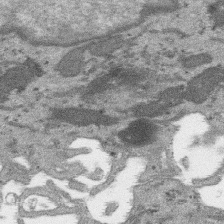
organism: Human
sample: Lung epithelial cells infected with SARS-CoV-2